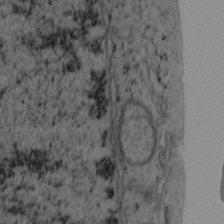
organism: Human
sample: HeLa cells